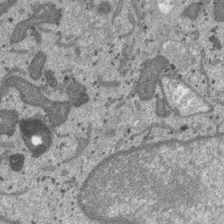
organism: Human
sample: Lung epithelial cells infected with SARS-CoV-2